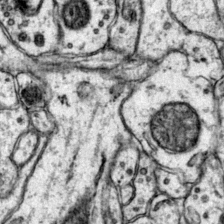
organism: Mouse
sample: Primary visual cortex